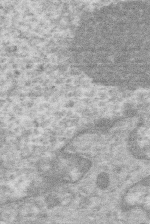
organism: Human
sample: Macrophage cells